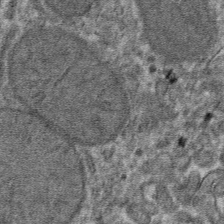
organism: Mouse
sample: Mouse hepatocytes